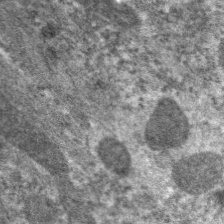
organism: C. elegans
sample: Pharynx